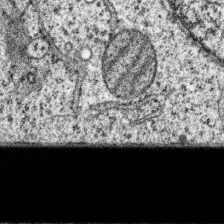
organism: Human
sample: HeLa cells